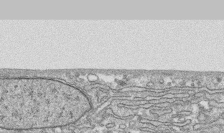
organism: Human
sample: CRL-1474